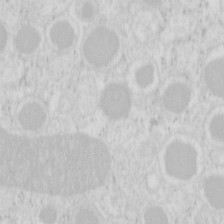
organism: Mouse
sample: Pancreas